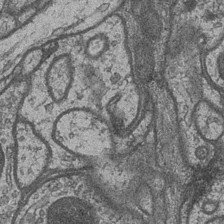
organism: Drosophila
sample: Optic medulla